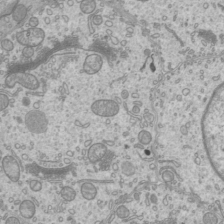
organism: Mouse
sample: Cilia; mouse epididymis